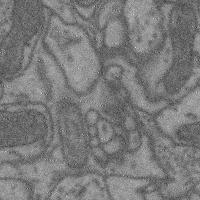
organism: Mouse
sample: Cerebral cortex